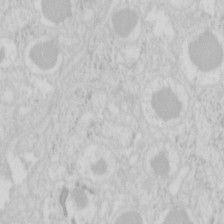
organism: Mouse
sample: Pancreas